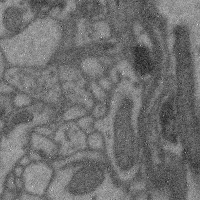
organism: Mouse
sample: Cerebral cortex